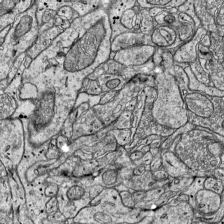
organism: Mouse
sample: Visual Cortex